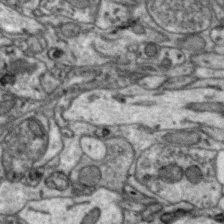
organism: Zebra finch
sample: Brain